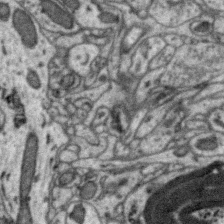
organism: Zebra finch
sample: Brain